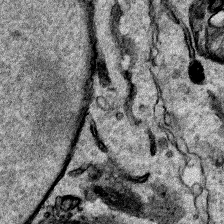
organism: Human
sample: Mitochondria in HCT116 cells